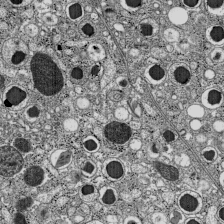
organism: C57BL Mouse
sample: Pancreatic islet